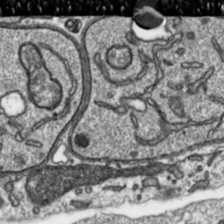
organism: Toxoplasma gondii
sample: Parasites in a vacuole inside a host cell